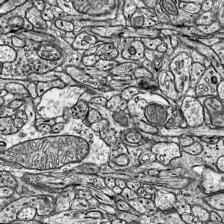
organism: Mouse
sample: Visual Cortex